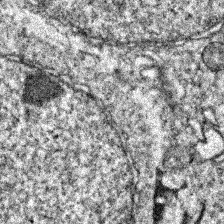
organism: Zebrafish